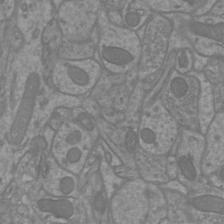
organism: Mouse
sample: Cortical neurons